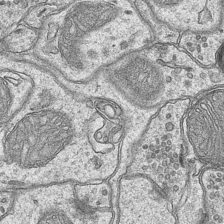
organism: Mouse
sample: CA1 Hippocampus